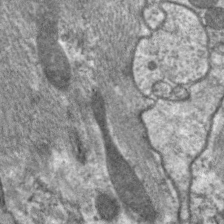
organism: C. elegans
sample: Pharynx